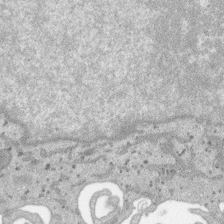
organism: Human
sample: Lung epithelial cells infected with SARS-CoV-2